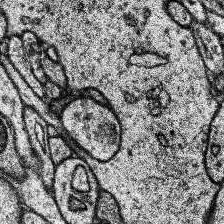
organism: Human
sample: Temporal Lobe